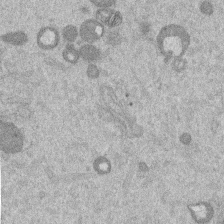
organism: Mouse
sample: Dividing mouse embryo 1 cell stage